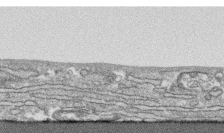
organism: Human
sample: CRL-1474